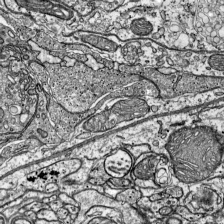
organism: Mouse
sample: Visual Cortex